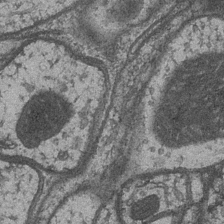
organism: Drosophila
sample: Optic medulla